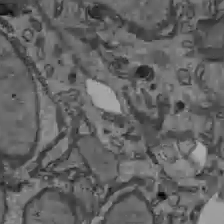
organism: C57BL Mouse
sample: Liver